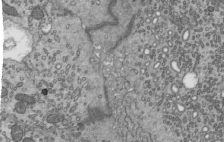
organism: Mouse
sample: Mouse epididymis efferent ductule cilia